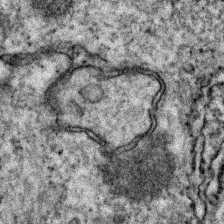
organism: Zebrafish